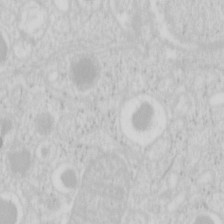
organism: Mouse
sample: Pancreas